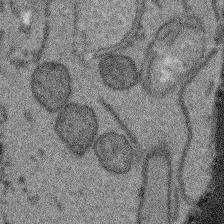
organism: Arabidopsis thaliana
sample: Root tip